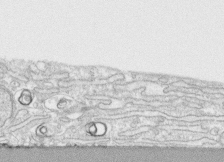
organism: Human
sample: CRL-1474